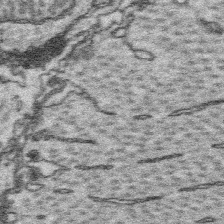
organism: Platynereis dumerilii